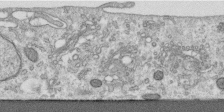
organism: Human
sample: Centriole in RPE cells